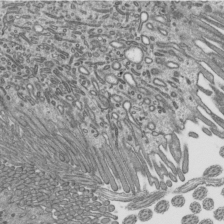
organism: Mouse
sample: Mouse epididymis efferent ductule cilia